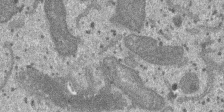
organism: Human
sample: Lung epithelial cells infected with SARS-CoV-2